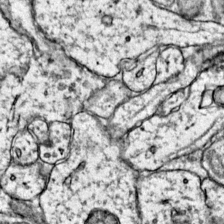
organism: Mouse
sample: Primary visual cortex